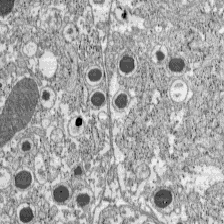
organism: C57BL Mouse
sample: Pancreatic islet